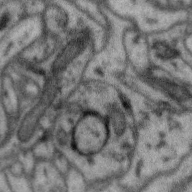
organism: Zebra finch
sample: Brain